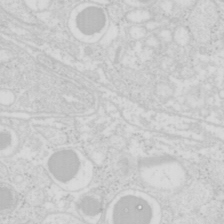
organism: Mouse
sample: Pancreas